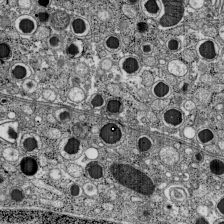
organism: C57BL Mouse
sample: Pancreatic islet